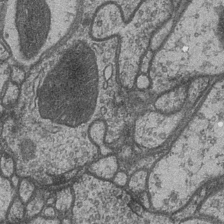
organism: Drosophila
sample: Optic medulla